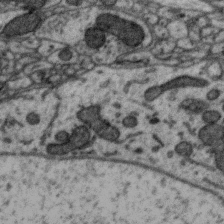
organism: Zebra finch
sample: Brain